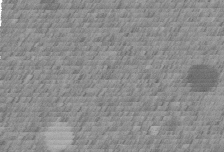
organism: C. elegans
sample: C. elegans embryo early stage